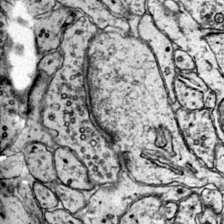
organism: Mouse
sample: Primary visual cortex